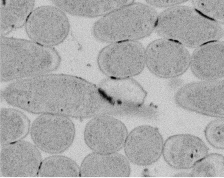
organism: E. coli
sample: Bacterial nucleoid